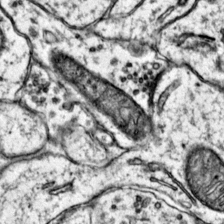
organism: Mouse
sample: Primary visual cortex